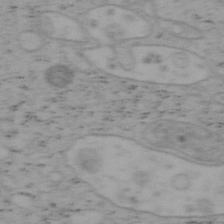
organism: Mouse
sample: OT-I killer T cells with ID8 ovarian cancer cells